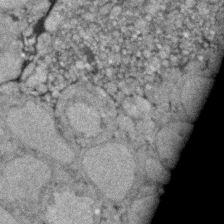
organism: Zebrafish